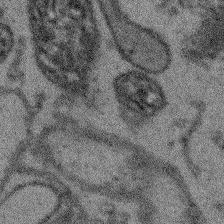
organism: Arabidopsis thaliana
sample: Root tip